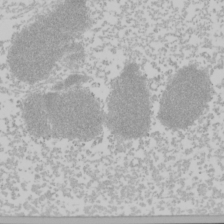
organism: Mouse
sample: Cancer cell death in ED-1 cells